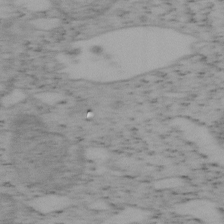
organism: Mouse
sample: OT-I killer T cells with ID8 ovarian cancer cells